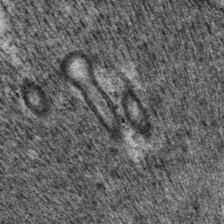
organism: P. pacificus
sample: Pharynx